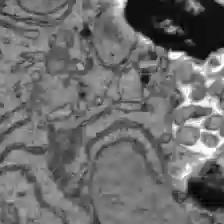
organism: C57BL Mouse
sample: Liver